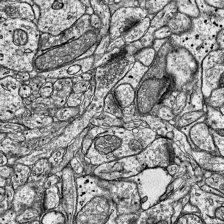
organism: Mouse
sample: Visual Cortex